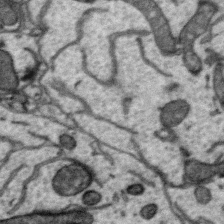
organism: Zebra finch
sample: Brain